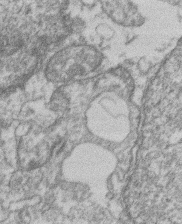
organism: Mouse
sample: T cell stromal cell synapse